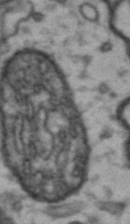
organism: Drosophila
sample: Brain